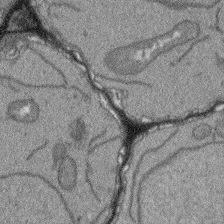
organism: Arabidopsis thaliana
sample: Root tip